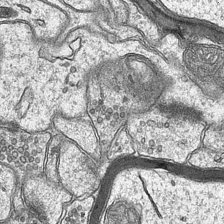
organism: Mouse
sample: CA1 Hippocampus